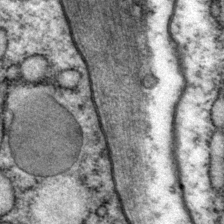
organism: P. pacificus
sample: Pharynx